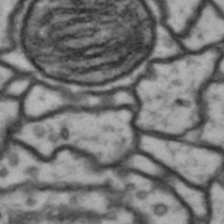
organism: Drosophila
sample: Brain